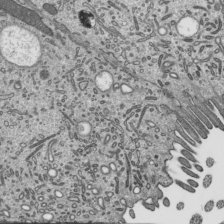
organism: Mouse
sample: Mouse epididymis efferent ductule cilia